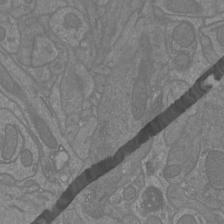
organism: Mouse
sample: Cortical neurons